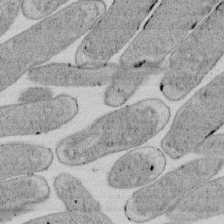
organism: E. coli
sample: Bacterial nucleoid